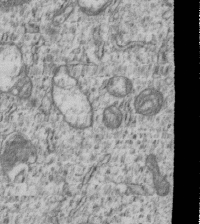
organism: Human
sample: MDA-MB-231 cells